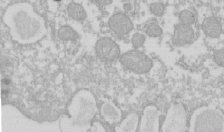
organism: Xenopus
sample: Cilia; centrioles in frog embryo cells